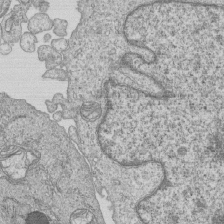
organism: Human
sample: MDA-MB-231 cells